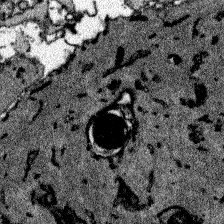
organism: Zebrafish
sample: Larval olfactory bulb